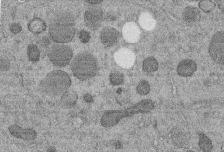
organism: C. elegans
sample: C. elegans embryo early stage